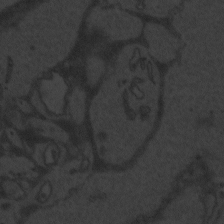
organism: Zebrafish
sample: Macrophage infected with Toxoplasma gondii